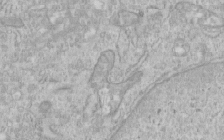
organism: Human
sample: Centriole in RPE cells